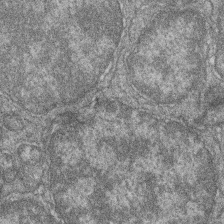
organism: Zebrafish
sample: Cilia; retinal pigment epithelium